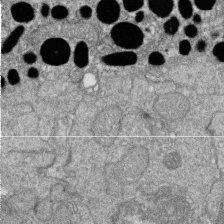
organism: Zebrafish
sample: Cilia; retinal pigment epithelium